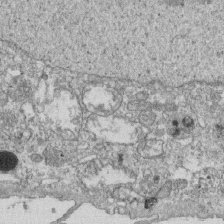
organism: Human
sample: HeLa cell HIV synapse